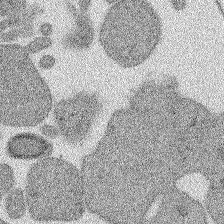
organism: Human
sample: HeLa cells